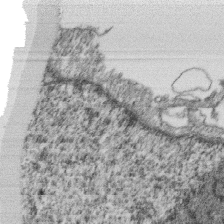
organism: African green monkey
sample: Vero E6 cells infected with SARS-CoV-2